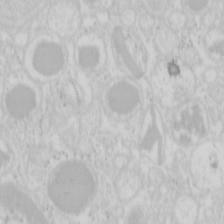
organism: Mouse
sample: Pancreas